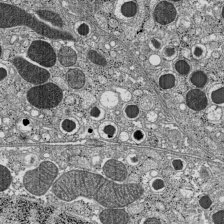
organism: C57BL Mouse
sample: Pancreatic islet